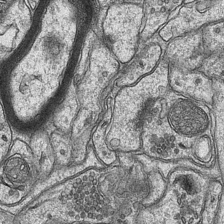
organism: Mouse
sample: CA1 Hippocampus